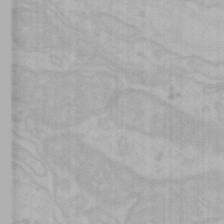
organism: Mouse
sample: Choroid plexus